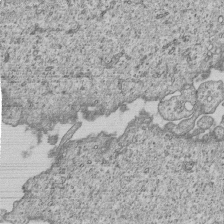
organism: Human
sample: MDA-MB-231 cells